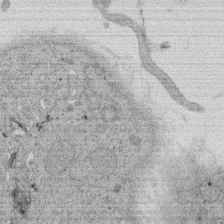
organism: Rat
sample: Salivary granule